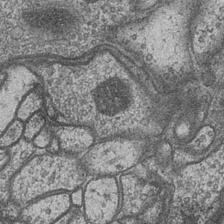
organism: Drosophila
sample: Optic medulla